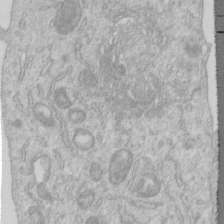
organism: Human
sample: Centriole in RPE cells